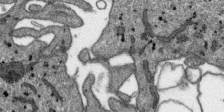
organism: Human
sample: Lung epithelial cells, uninfected (mock) control